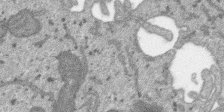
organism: Human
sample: Lung epithelial cells infected with SARS-CoV-2